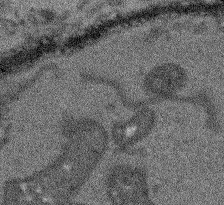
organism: Arabidopsis thaliana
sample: Root tip